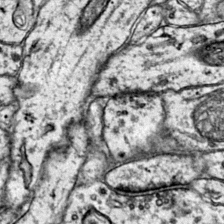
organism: Mouse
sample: Primary visual cortex